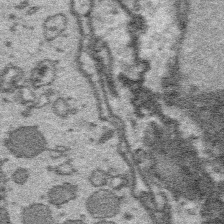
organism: Platynereis dumerilii